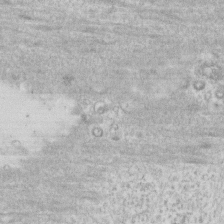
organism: Human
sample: Fibroblast cells